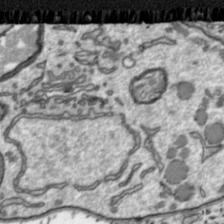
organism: Toxoplasma gondii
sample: Parasites in a vacuole inside a host cell